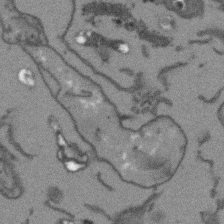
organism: Arabidopsis thaliana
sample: Root tip